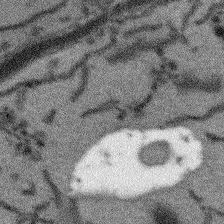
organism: Arabidopsis thaliana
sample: Root tip